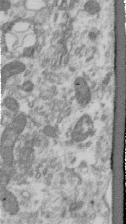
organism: Human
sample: Centriole in RPE cells